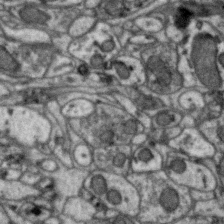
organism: Zebra finch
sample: Brain